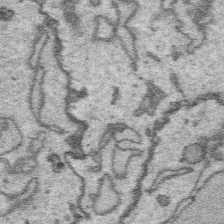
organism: Platynereis dumerilii